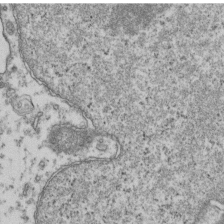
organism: Human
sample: Activated Jurkat CD4+ T cells